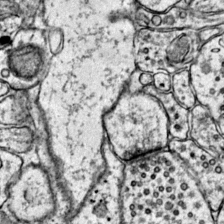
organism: Mouse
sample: Primary visual cortex